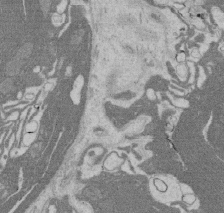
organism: Rat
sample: Salivary granule